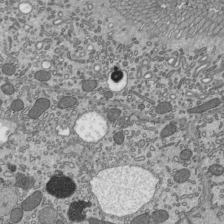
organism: Mouse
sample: Mouse epididymis efferent ductule cilia